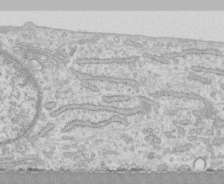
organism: Human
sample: CRL-1474